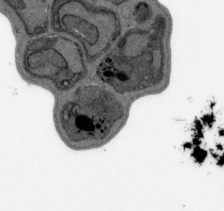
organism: Plasmodium falciparum